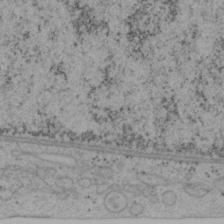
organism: Human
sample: HeLa cells